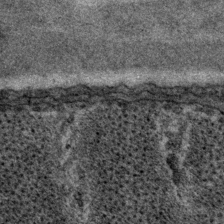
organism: P. pacificus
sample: Pharynx